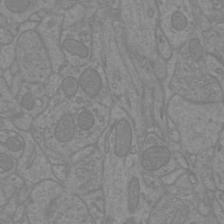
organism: Mouse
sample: Cortical neurons